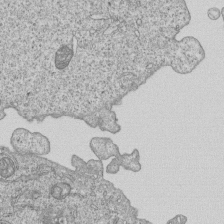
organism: Human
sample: MDA-MB-231 cells